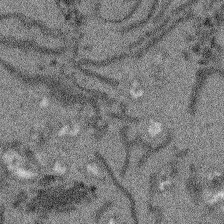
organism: Arabidopsis thaliana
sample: Root tip